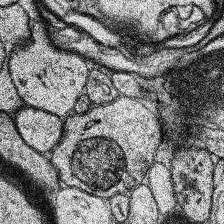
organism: Human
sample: Temporal Lobe